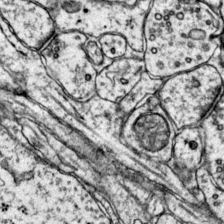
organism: Mouse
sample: Primary visual cortex